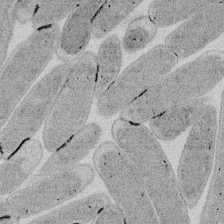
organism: E. coli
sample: Bacterial nucleoid